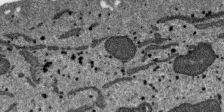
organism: Human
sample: Lung epithelial cells, uninfected (mock) control